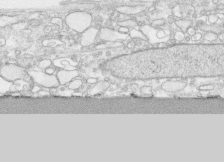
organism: Human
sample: CRL-1474